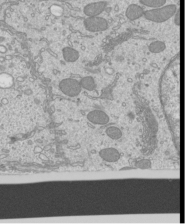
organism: Mouse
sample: Cilia; mouse epididymis